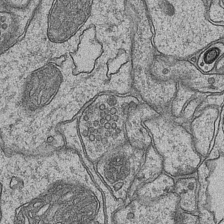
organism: Mouse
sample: CA1 Hippocampus